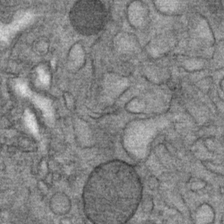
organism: Mouse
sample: Mouse Salivary gland